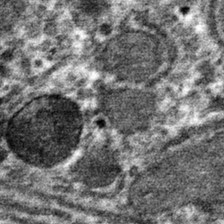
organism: Mouse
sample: Mouse hepatocytes